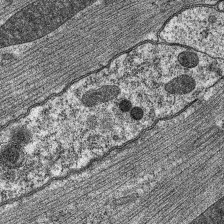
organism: C. elegans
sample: Pharynx